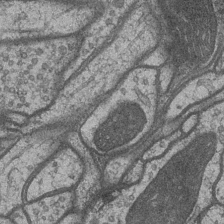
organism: Drosophila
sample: Optic medulla